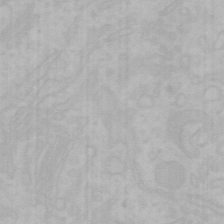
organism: Mouse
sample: Choroid plexus